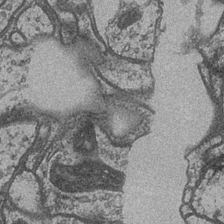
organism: Drosophila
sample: Optic medulla